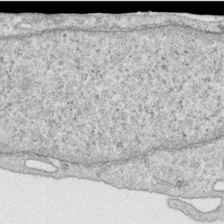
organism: Human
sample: Centriole in RPE cells